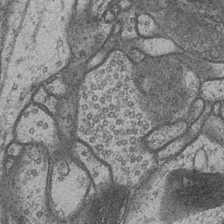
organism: Drosophila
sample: Optic medulla